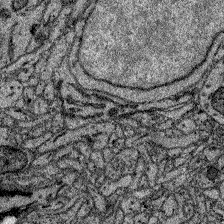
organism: Zebrafish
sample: Larval olfactory bulb